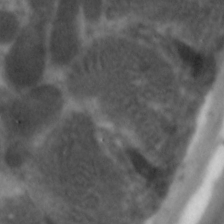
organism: C. elegans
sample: Pharynx